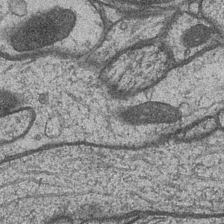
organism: Drosophila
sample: Optic medulla